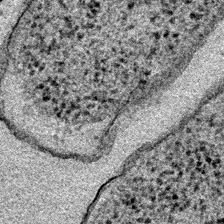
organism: E. coli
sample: E. Coli Bacteria